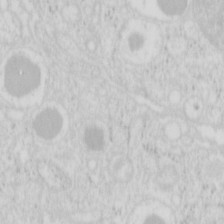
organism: Mouse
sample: Pancreas